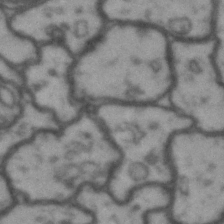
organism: Drosophila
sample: Brain